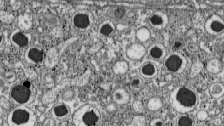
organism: C57BL Mouse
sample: Pancreatic islet